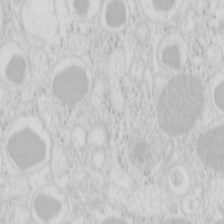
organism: Mouse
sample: Pancreas